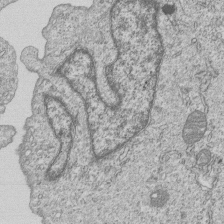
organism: Human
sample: MDA-MB-231 cells